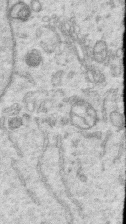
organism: Human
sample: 1205lu cells